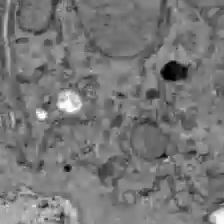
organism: C57BL Mouse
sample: Liver